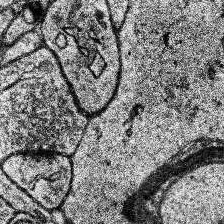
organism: Human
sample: Temporal Lobe